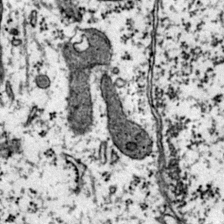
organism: Mouse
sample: Primary visual cortex